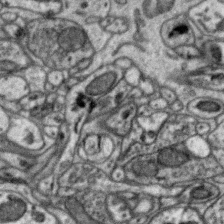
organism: Zebra finch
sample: Brain